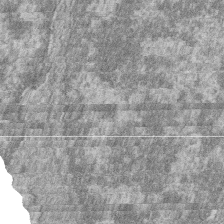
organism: Zebrafish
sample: Cilia; retinal pigment epithelium